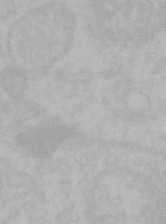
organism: Mouse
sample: Choroid plexus